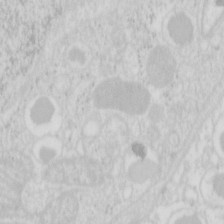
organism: Mouse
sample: Pancreas